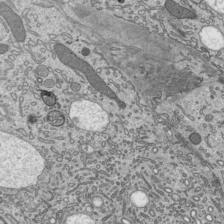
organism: Mouse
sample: Mouse epididymis efferent ductule cilia